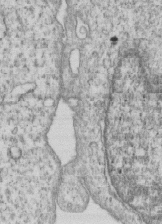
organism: Human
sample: MDA-MB-231 cells